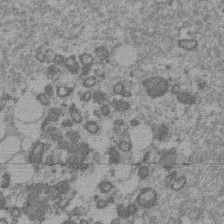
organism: Mouse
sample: Dividing mouse embryo 1 cell stage